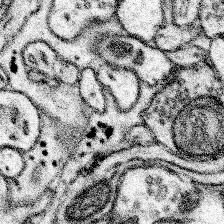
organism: Mouse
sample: Somatosensory cortex neuropil